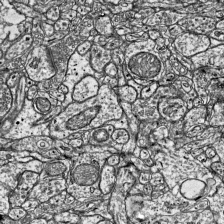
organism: Mouse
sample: Visual Cortex